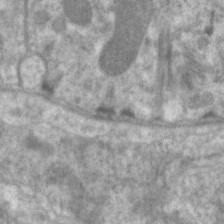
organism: C. elegans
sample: Pharynx